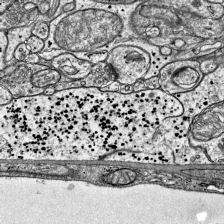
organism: Mouse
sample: Visual Cortex